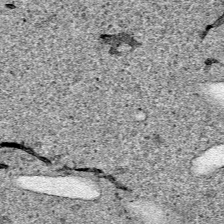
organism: Human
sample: Mitochondria in HCT116 cells